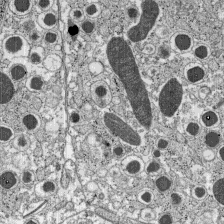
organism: C57BL Mouse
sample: Pancreatic islet